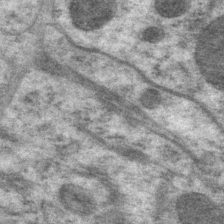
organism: P. pacificus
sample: Pharynx